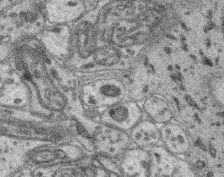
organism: Mouse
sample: Retina